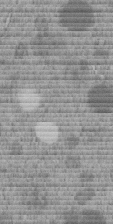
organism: C. elegans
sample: C. elegans embryo early stage